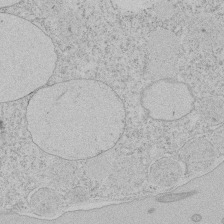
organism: Tetrahymena